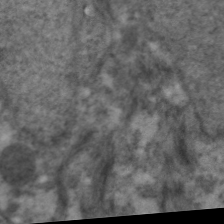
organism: C. elegans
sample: Pharynx